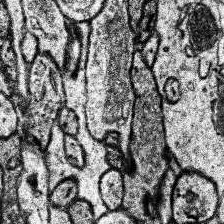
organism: Human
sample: Temporal Lobe